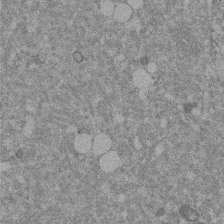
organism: Mouse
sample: Dividing mouse embryo 1 cell stage